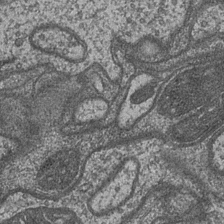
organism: Drosophila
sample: Optic medulla